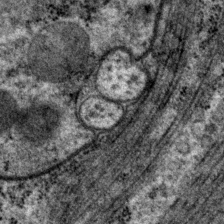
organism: P. pacificus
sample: Pharynx